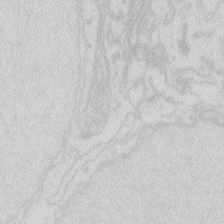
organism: Zebrafish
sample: Macrophage